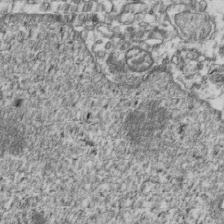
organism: Human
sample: Activated Jurkat CD4+ T cells